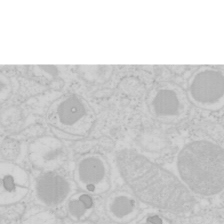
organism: Mouse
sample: Pancreas